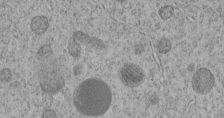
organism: C. elegans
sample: C. elegans embryo early stage